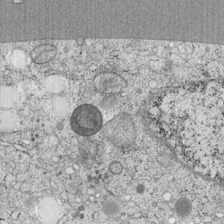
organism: African green monkey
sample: COS-7 cells